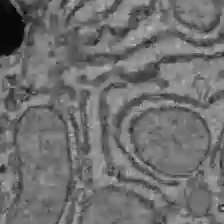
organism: C57BL Mouse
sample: Liver